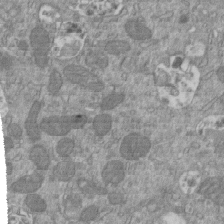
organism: Mouse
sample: ED-1 cell nuclei; centrioles